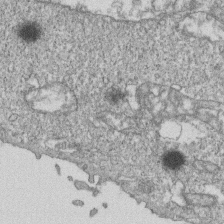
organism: Human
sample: HeLa cell HIV synapse